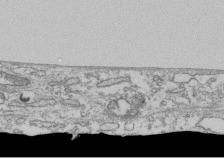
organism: Human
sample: Fibroblast cells